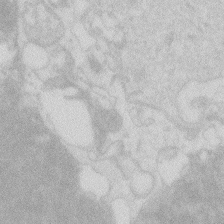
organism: Zebrafish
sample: Macrophage